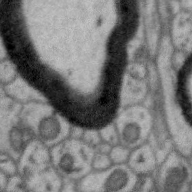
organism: Zebra finch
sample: Brain